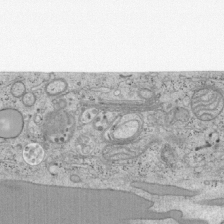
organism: Human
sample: HeLa cells